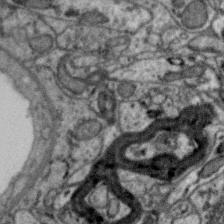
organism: Zebra finch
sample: Brain